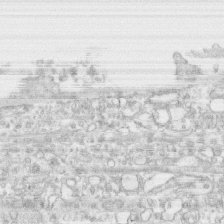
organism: Human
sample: CRL-1474